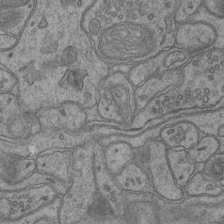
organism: Mouse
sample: CA1 Hippocampus